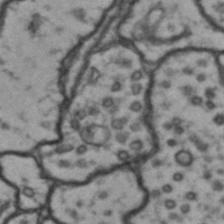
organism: Drosophila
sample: Brain